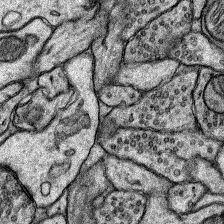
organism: Rat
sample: Hippocampus